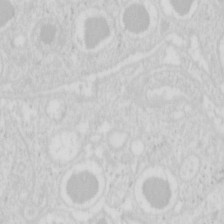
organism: Mouse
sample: Pancreas